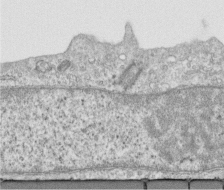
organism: Human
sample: Centriole in RPE cells